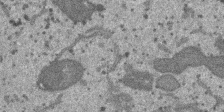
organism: Human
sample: Lung epithelial cells infected with SARS-CoV-2